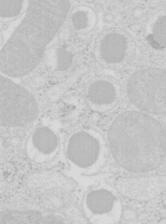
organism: Mouse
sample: Pancreas